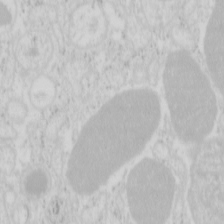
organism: Mouse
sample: Pancreas